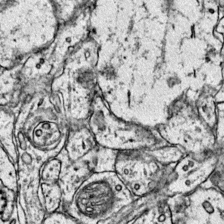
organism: Mouse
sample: Primary visual cortex